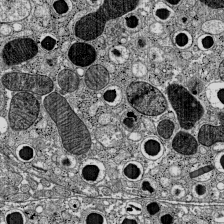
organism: C57BL Mouse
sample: Pancreatic islet